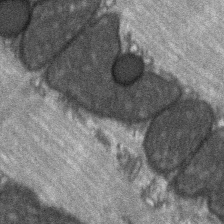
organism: C57BL Mouse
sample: Soleus